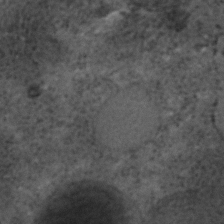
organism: C. elegans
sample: C. elegans embryo